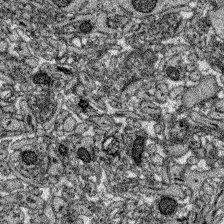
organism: Zebrafish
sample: Larval olfactory bulb